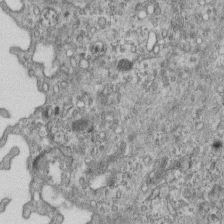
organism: Mouse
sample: Centriole in ependymal cells